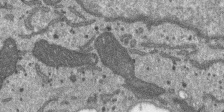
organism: Human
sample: Lung epithelial cells infected with SARS-CoV-2